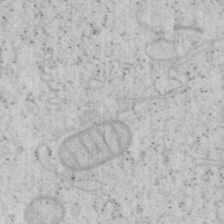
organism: Human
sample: HeLa cells